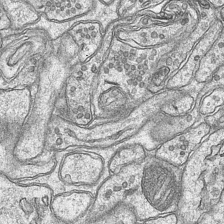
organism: Mouse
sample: CA1 Hippocampus